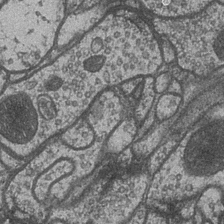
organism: Drosophila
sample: Optic medulla